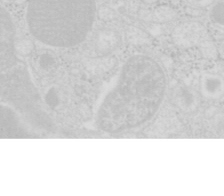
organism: Mouse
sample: Pancreas